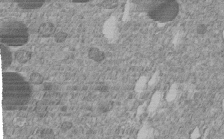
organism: C. elegans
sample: C. elegans embryo early stage